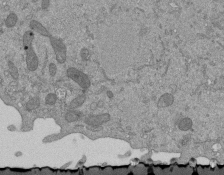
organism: Mouse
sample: ED-1 cell nuclei; centrioles